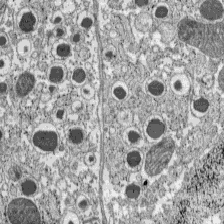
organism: C57BL Mouse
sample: Pancreatic islet